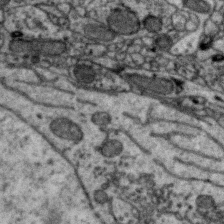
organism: Zebra finch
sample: Brain